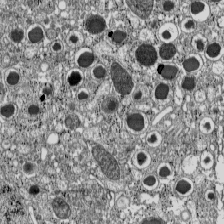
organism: C57BL Mouse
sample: Pancreatic islet